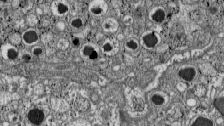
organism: C57BL Mouse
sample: Pancreatic islet